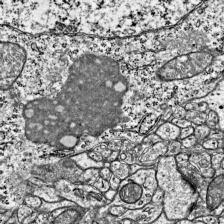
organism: Mouse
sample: Visual Cortex